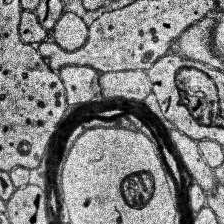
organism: Human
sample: Temporal Lobe